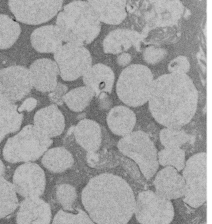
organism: Rat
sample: Salivary granule